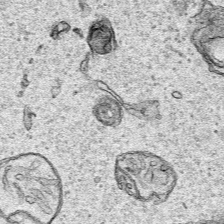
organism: Human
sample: Mitochondria in HCT116 cells